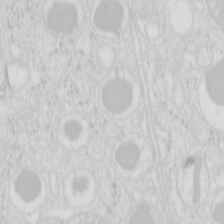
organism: Mouse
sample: Pancreas